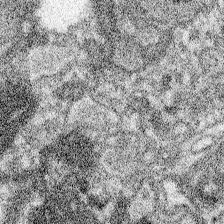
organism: Spongilla lacustris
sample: Neuroid cell